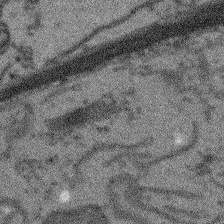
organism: Arabidopsis thaliana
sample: Root tip